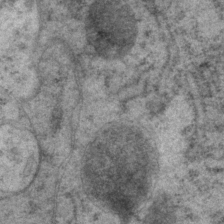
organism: P. pacificus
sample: Pharynx